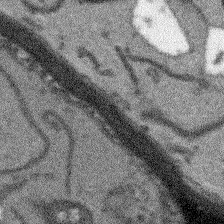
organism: Arabidopsis thaliana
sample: Root tip